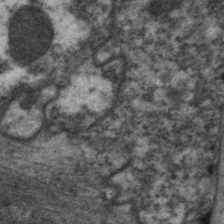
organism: C. elegans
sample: Pharynx